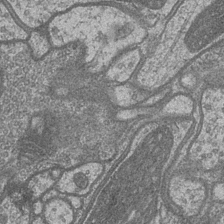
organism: Drosophila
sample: Optic medulla